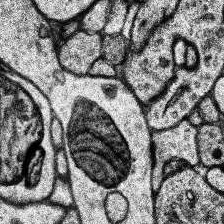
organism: Human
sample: Temporal Lobe